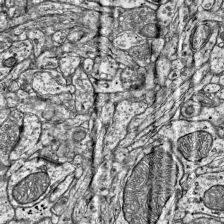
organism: Mouse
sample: Visual Cortex